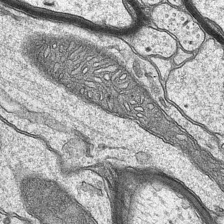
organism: Mouse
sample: CA1 Hippocampus